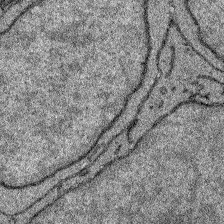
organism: Zebrafish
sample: Larval olfactory bulb